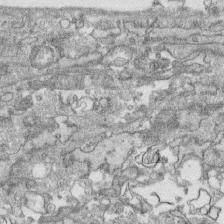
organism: Human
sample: CRL-1474